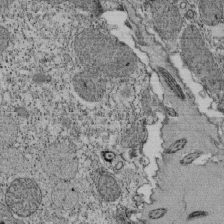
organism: Tetrahymena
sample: Cilia in tetrahymena